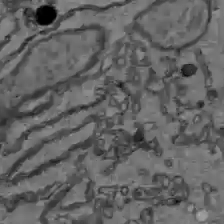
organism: C57BL Mouse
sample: Liver